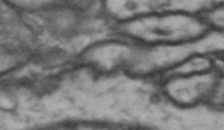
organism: Drosophila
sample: Brain